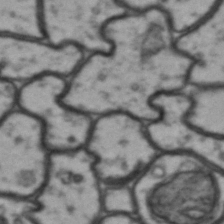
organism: Drosophila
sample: Brain